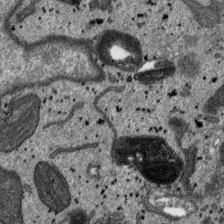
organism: Human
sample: Lung epithelial cells, uninfected (mock) control